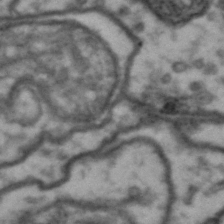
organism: Drosophila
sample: Brain